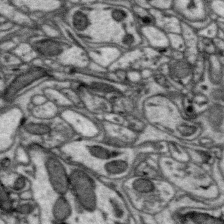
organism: Zebra finch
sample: Brain